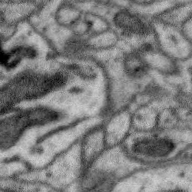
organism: Zebra finch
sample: Brain